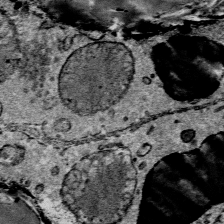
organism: Mouse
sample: Mouse Salivary gland